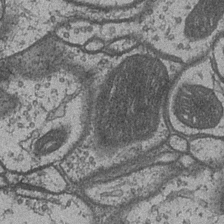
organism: Drosophila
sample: Optic medulla